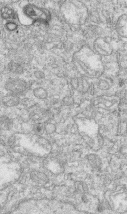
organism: Human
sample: HeLa cell HIV synapse